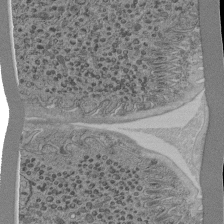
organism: C. elegans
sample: C. elegans pharynx